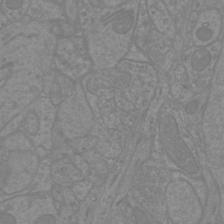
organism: Mouse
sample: Cortical neurons